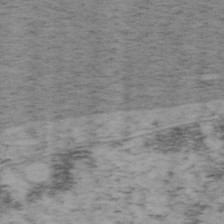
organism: Mouse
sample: OT-I killer T cells with ID8 ovarian cancer cells